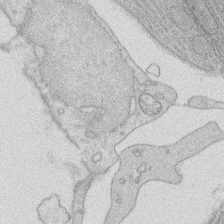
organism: Rat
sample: Salivary granule